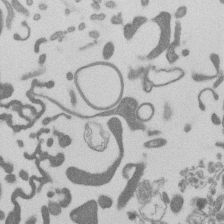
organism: Mouse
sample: Dividing mouse embryo 1 cell stage